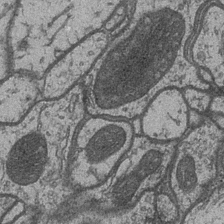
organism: Drosophila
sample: Optic medulla